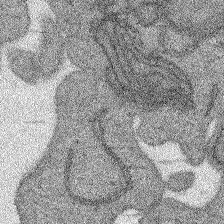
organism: Human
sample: HeLa cells